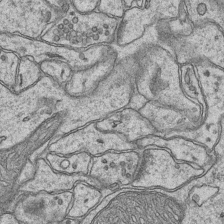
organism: Mouse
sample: CA1 Hippocampus